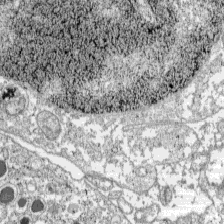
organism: C57BL Mouse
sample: Pancreatic islet